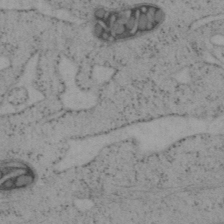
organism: Mouse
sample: OT-I killer T cells with ID8 ovarian cancer cells